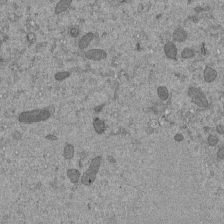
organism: Mouse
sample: ED-1 cell nuclei; centrioles